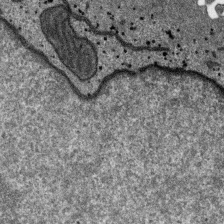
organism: Human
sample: Lung epithelial cells, uninfected (mock) control